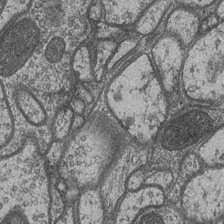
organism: Drosophila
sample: Optic medulla